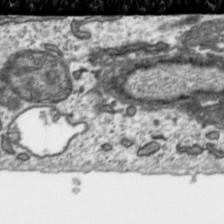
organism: Toxoplasma gondii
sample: Parasites in a vacuole inside a host cell